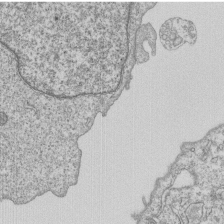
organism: Human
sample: MDA-MB-231 cells